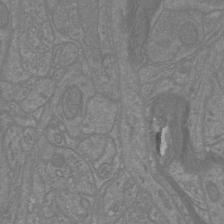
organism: Mouse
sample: Cortical neurons